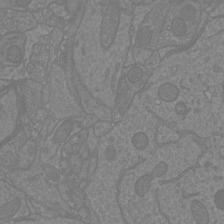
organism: Mouse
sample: Cortical neurons